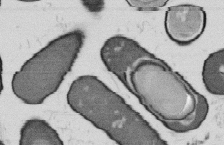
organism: B. subtilis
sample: Bacterial spore